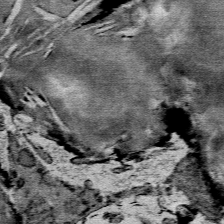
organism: Mouse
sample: Mouse Salivary gland